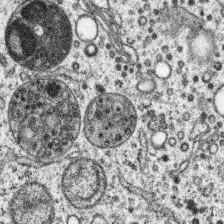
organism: Human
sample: HeLa cells